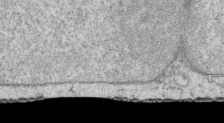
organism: Human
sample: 1205lu cells